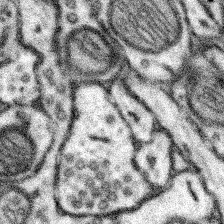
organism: Mouse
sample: Somatosensory cortex neuropil